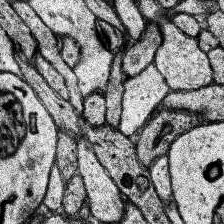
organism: Human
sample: Temporal Lobe